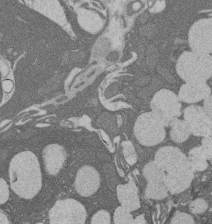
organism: Rat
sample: Salivary granule